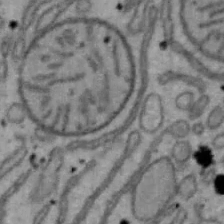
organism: Mouse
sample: Liver